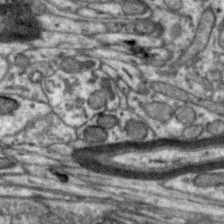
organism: Zebra finch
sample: Brain